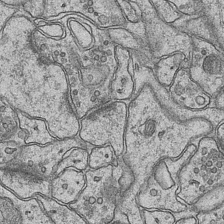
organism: Mouse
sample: CA1 Hippocampus